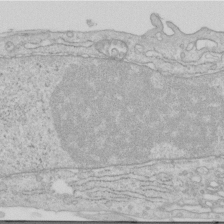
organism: Human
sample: Centriole in RPE cells